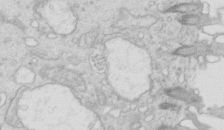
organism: Mouse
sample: Multiciliated cells